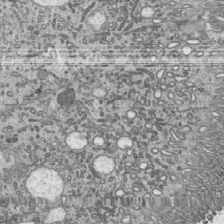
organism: Mouse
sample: Mouse epididymis efferent ductule cilia